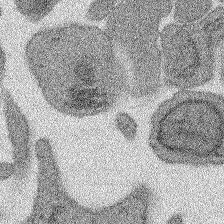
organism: Human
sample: HeLa cells